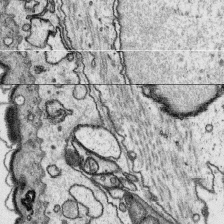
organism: Platynereis dumerilii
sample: Parapodia